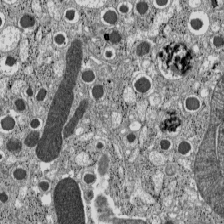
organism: C57BL Mouse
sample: Pancreatic islet